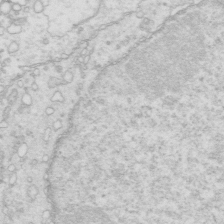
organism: Mouse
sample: Multiciliated cells